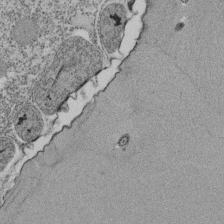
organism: Tetrahymena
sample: Cilia in tetrahymena